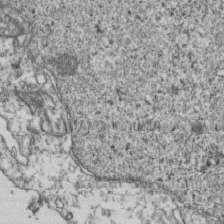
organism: Human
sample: Activated Jurkat CD4+ T cells